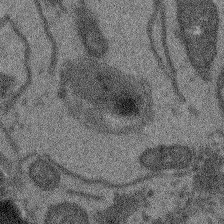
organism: Arabidopsis thaliana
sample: Root tip